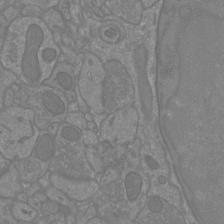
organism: Mouse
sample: Cortical neurons